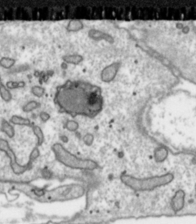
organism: Toxoplasma gondii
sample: Parasites in a vacuole inside a host cell